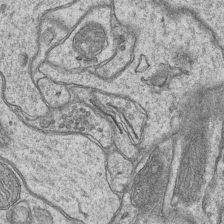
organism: Mouse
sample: CA1 Hippocampus